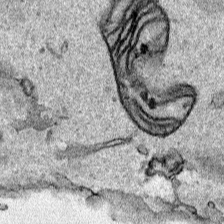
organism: Human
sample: Mitochondria in HCT116 cells